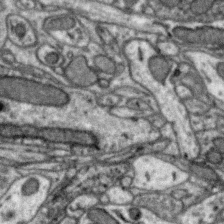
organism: Zebra finch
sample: Brain